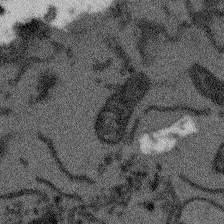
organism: Arabidopsis thaliana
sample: Root tip